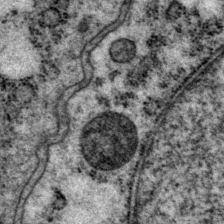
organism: P. pacificus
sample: Pharynx